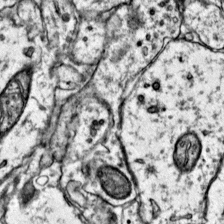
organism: Mouse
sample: Primary visual cortex